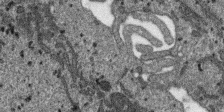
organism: Human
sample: Lung epithelial cells infected with SARS-CoV-2